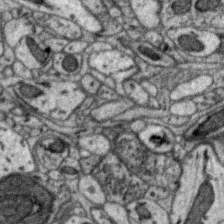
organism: Zebra finch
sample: Brain